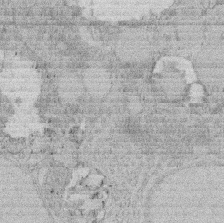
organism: Rat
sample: Salivary granule